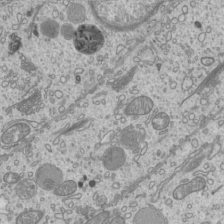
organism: Mouse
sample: Cilia; mouse epididymis